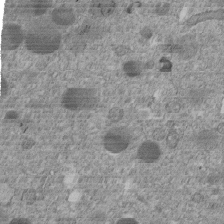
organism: C. elegans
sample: C. elegans embryo early stage